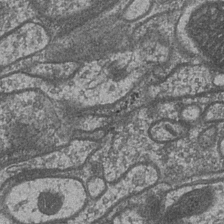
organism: Drosophila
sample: Optic medulla